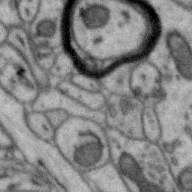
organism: Zebra finch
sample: Brain